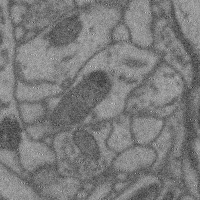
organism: Mouse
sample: Cerebral cortex